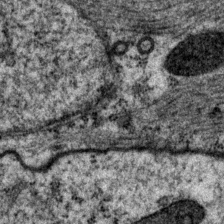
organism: P. pacificus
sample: Pharynx